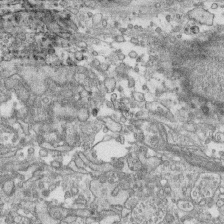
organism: Human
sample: CRL-1474